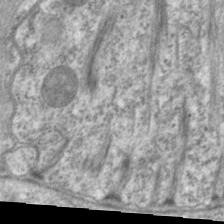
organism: C. elegans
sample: Pharynx